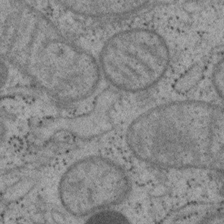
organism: Human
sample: HeLa cells